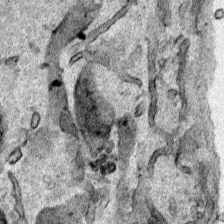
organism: Human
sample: Mitochondria in HCT116 cells